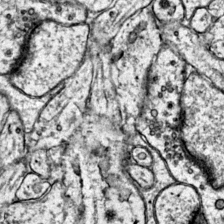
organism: Mouse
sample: Primary visual cortex